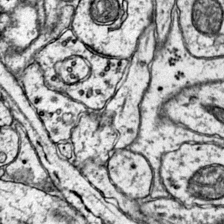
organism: Mouse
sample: Primary visual cortex